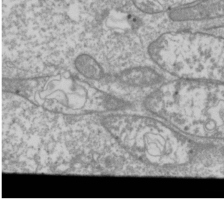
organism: Drosophila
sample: Cell division; meiosis; drosophila spermatocytes